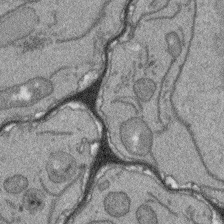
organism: Arabidopsis thaliana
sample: Root tip